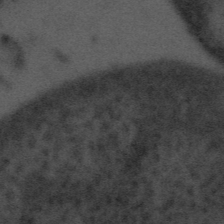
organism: Tuwongella immobilis